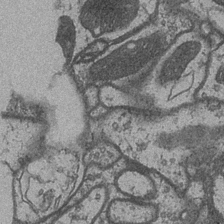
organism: Drosophila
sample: Optic medulla